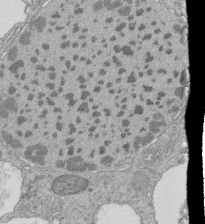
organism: Tetrahymena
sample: Cilia in tetrahymena